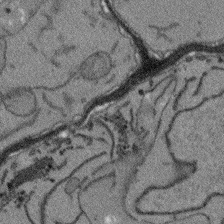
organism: Arabidopsis thaliana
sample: Root tip